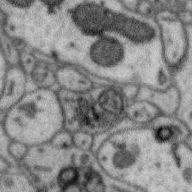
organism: Zebra finch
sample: Brain